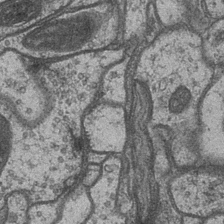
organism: Drosophila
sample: Optic medulla